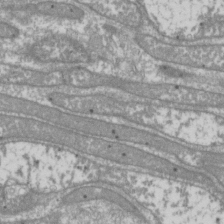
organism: Drosophila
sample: Cell division; meiosis; drosophila spermatocytes